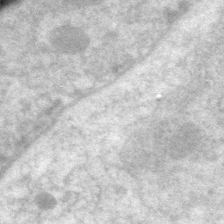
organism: C. elegans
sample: Pharynx